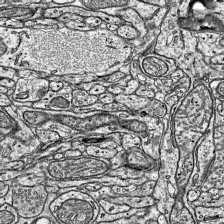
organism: Mouse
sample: Visual Cortex